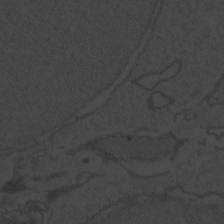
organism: Zebrafish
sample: Macrophage infected with Toxoplasma gondii